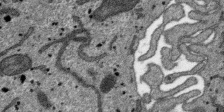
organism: Human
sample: Lung epithelial cells, uninfected (mock) control